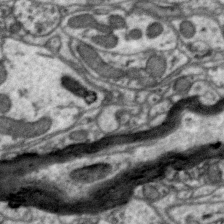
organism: Zebra finch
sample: Brain